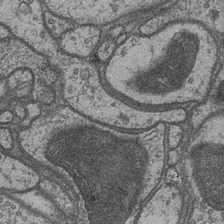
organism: Drosophila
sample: Optic medulla